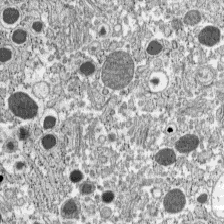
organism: C57BL Mouse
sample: Pancreatic islet